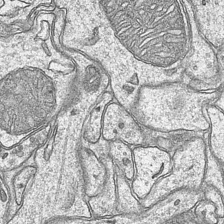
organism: Mouse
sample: CA1 Hippocampus